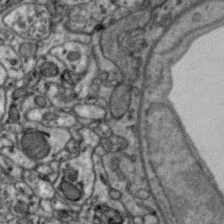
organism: Zebra finch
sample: Brain